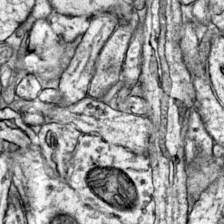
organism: Mouse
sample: Primary visual cortex